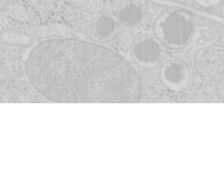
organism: Mouse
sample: Pancreas